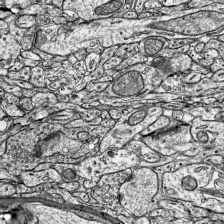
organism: Mouse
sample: Visual Cortex